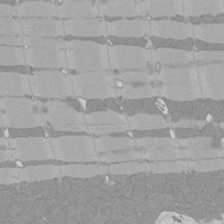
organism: Rat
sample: Left ventricle